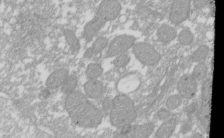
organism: Xenopus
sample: Cilia; centrioles in frog embryo cells